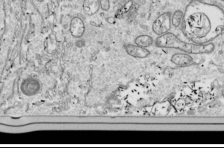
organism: Drosophila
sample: Cell division; meiosis; drosophila spermatocytes